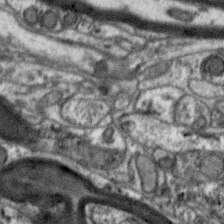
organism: Zebra finch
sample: Brain